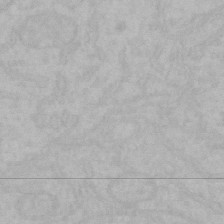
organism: Mouse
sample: Choroid plexus